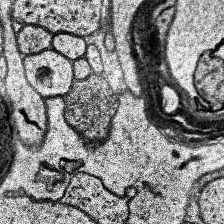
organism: Human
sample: Temporal Lobe